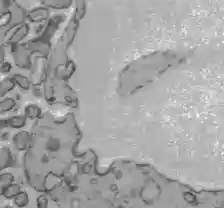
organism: C57BL Mouse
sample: Liver